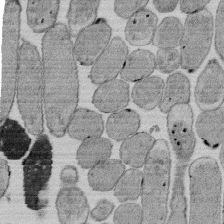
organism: E. coli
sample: Bacterial nucleoid